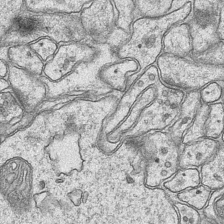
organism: Mouse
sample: CA1 Hippocampus